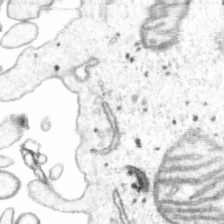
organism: Human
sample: HeLa cells